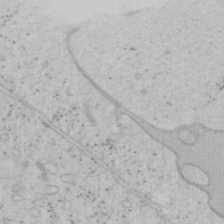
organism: Human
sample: HeLa cells